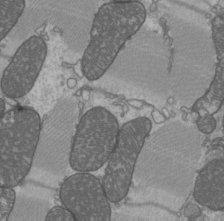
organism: C57BL Mouse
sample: Heart